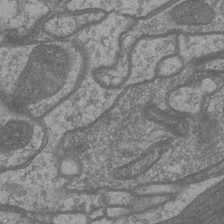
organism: Drosophila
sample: Optic medulla